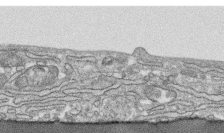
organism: Human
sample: CRL-1474